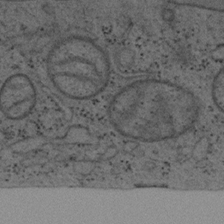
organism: Human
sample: HeLa cells